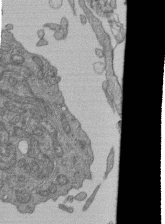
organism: Human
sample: Retinal organoid Rod and Cone cells